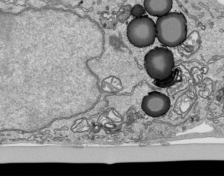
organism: Human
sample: Mitochondria in HCT116 cells